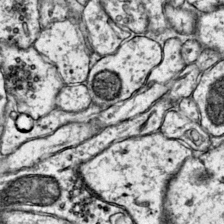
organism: Mouse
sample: Primary visual cortex